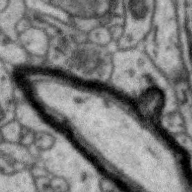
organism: Zebra finch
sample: Brain